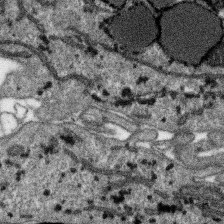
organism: Human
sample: Lung epithelial cells infected with SARS-CoV-2